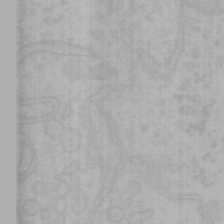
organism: Mouse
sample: Choroid plexus